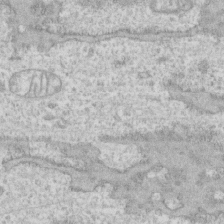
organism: Human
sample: CRL-1474